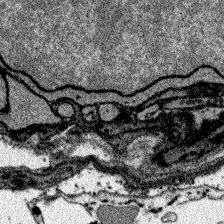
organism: Zebrafish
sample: Larval olfactory bulb